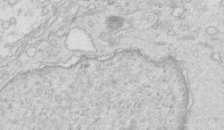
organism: Mouse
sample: Multiciliated cells